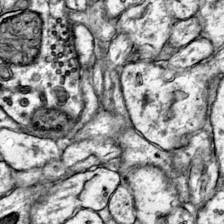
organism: Mouse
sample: Primary visual cortex